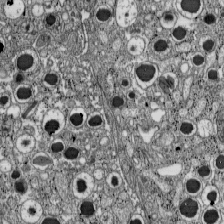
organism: C57BL Mouse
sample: Pancreatic islet